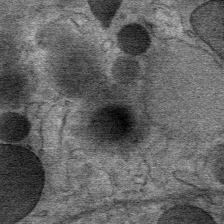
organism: Mouse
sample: Mouse Salivary gland